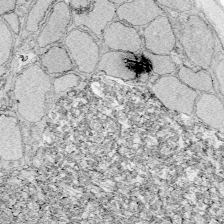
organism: Zebrafish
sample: Whole-Brain